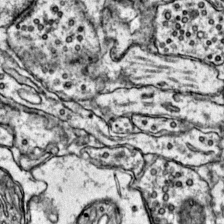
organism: Mouse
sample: Primary visual cortex